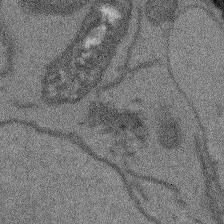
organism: Arabidopsis thaliana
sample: Root tip